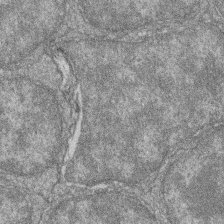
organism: Zebrafish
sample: Cilia; retinal pigment epithelium